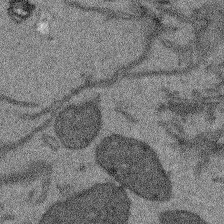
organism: Arabidopsis thaliana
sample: Root tip